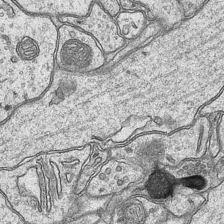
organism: Mouse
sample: CA1 Hippocampus